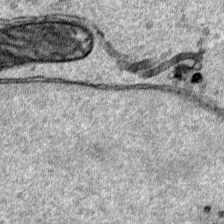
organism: Human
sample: Mitochondria in HCT116 cells